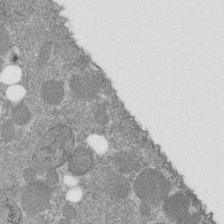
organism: C. elegans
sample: C. elegans embryo early stage